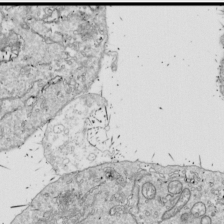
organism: Drosophila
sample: Cell division; meiosis; drosophila spermatocytes